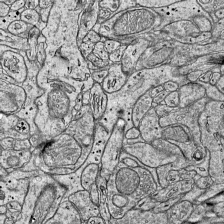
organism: Mouse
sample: Visual Cortex